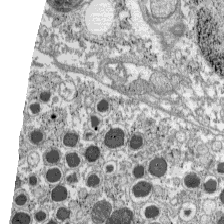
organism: C57BL Mouse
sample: Pancreatic islet